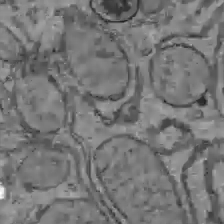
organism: C57BL Mouse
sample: Liver